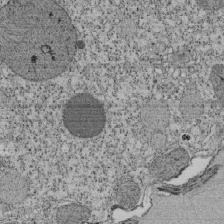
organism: Tetrahymena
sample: Cilia in tetrahymena